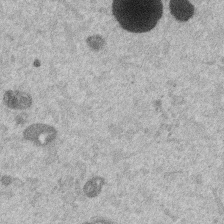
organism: Mouse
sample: Dividing mouse embryo 1 cell stage